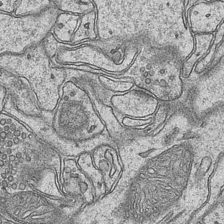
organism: Mouse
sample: CA1 Hippocampus